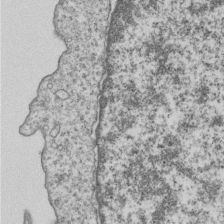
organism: Human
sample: MDA-MB-231 cells